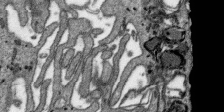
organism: Human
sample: Lung epithelial cells, uninfected (mock) control